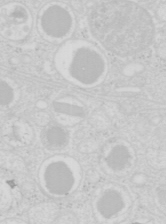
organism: Mouse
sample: Pancreas